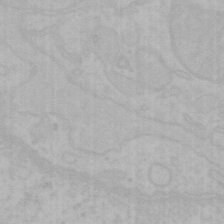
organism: Mouse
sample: Choroid plexus